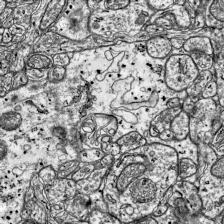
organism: Mouse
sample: Visual Cortex